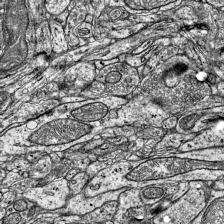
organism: Mouse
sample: Visual Cortex